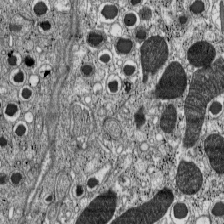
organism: C57BL Mouse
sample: Pancreatic islet